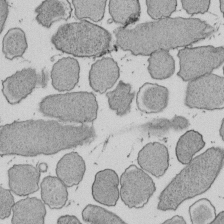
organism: E. coli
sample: Bacterial nucleoid